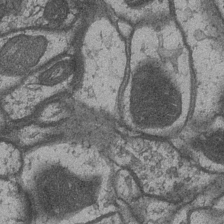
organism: Drosophila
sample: Optic medulla